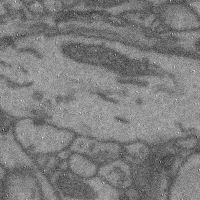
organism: Mouse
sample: Cerebral cortex